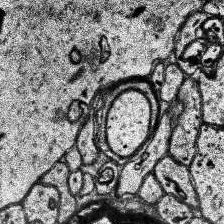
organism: Human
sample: Temporal Lobe